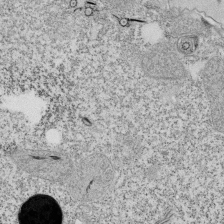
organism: Tetrahymena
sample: Cilia in tetrahymena